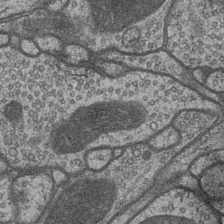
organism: Drosophila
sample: Optic medulla